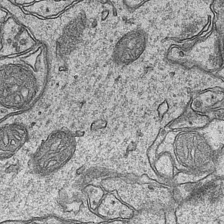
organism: Mouse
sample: CA1 Hippocampus